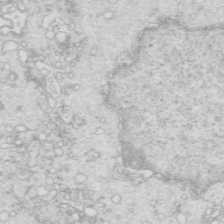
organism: Mouse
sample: Multiciliated cells